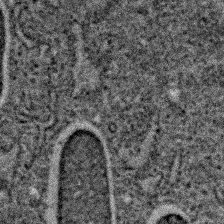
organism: C. elegans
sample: C. elegans embryo